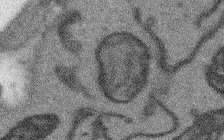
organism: Arabidopsis thaliana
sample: Root tip